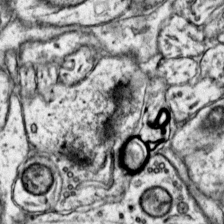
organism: Mouse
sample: Primary visual cortex